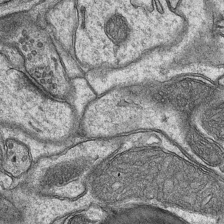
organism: Mouse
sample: CA1 Hippocampus